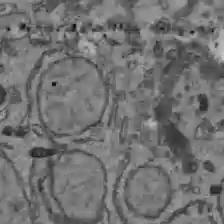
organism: C57BL Mouse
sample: Liver